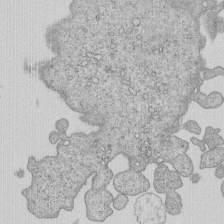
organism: Human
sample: MDA-MB-231 cells